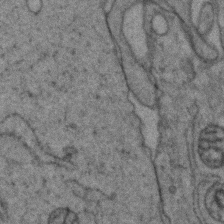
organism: Zebrafish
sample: Zebrafish embryo